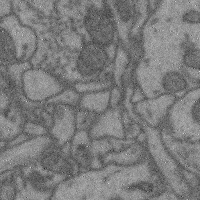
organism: Mouse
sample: Cerebral cortex